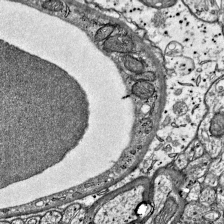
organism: Mouse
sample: Visual Cortex